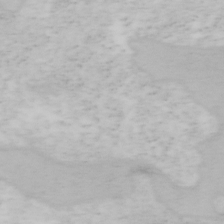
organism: Mouse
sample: OT-I killer T cells with ID8 ovarian cancer cells